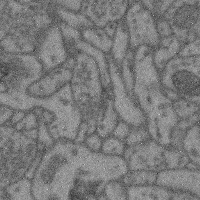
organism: Mouse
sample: Cerebral cortex